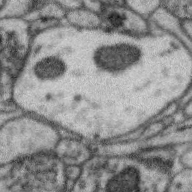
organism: Zebra finch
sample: Brain